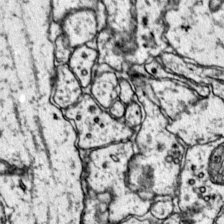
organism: Mouse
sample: Primary visual cortex